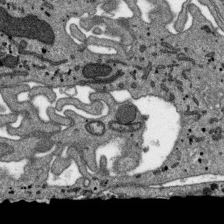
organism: Human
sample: Lung epithelial cells, uninfected (mock) control